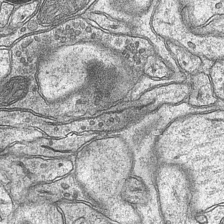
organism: Mouse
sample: CA1 Hippocampus